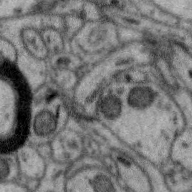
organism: Zebra finch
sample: Brain